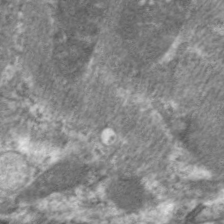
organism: C. elegans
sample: Pharynx